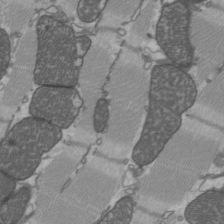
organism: C57BL Mouse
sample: Heart